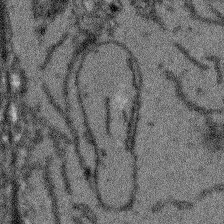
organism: Arabidopsis thaliana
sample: Root tip